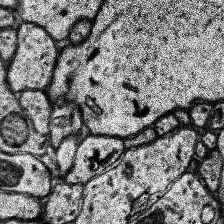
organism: Human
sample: Temporal Lobe